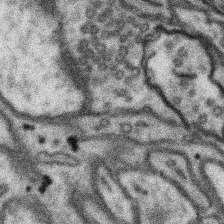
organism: Mouse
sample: Somatosensory cortex neuropil